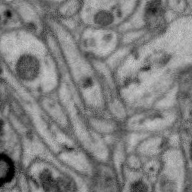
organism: Zebra finch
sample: Brain